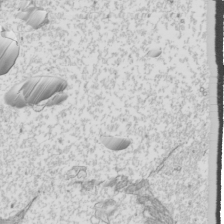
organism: Mouse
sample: Cilia; mouse epididymis